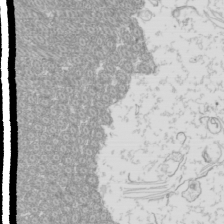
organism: Mouse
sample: Cilia; mouse epididymis